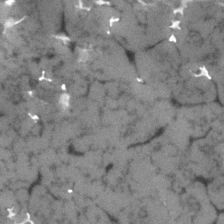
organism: Human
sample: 1205lu cells